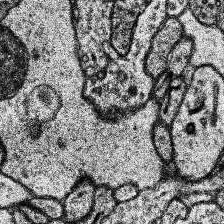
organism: Human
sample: Temporal Lobe